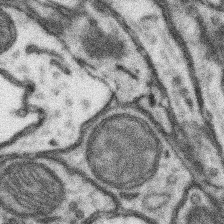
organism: Mouse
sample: Somatosensory cortex neuropil